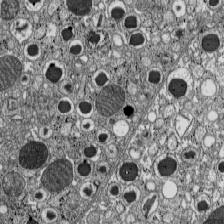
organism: C57BL Mouse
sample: Pancreatic islet